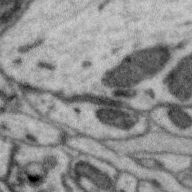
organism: Zebra finch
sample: Brain